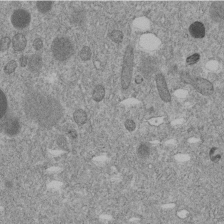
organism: C. elegans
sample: C. elegans embryo early stage